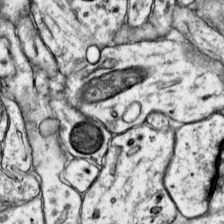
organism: Mouse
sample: Primary visual cortex